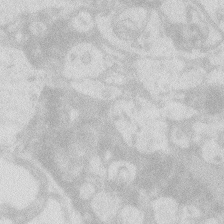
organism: Zebrafish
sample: Macrophage